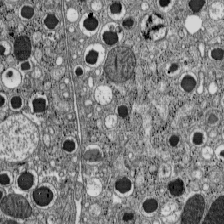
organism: C57BL Mouse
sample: Pancreatic islet